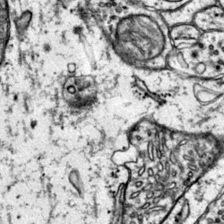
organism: Mouse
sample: Primary visual cortex